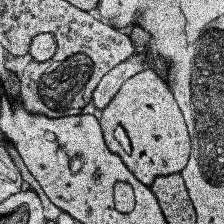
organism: Human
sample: Temporal Lobe